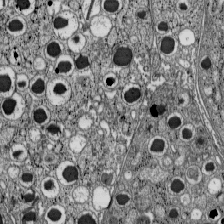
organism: C57BL Mouse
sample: Pancreatic islet